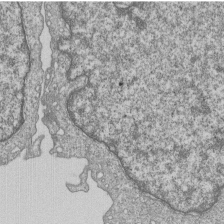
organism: Human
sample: MDA-MB-231 cells